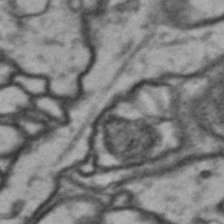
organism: Drosophila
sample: Brain